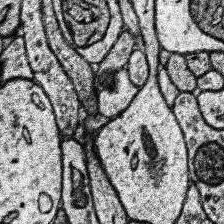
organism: Human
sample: Temporal Lobe